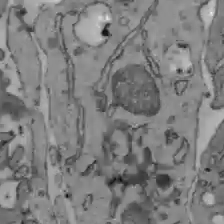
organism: C57BL Mouse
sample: Liver